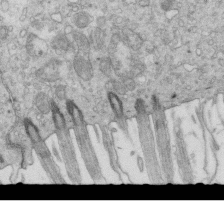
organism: Mouse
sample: Multiciliated cells